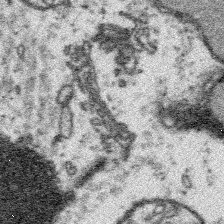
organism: Platynereis dumerilii